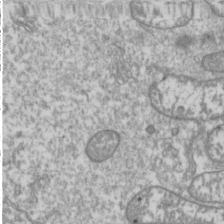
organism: Drosophila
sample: Cell division; meiosis; drosophila spermatocytes